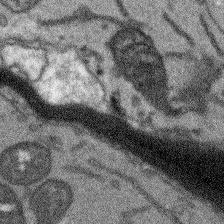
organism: Arabidopsis thaliana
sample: Root tip